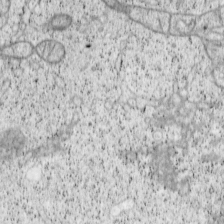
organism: African green monkey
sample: COS-7 cells